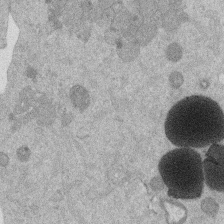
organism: Mouse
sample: Dividing mouse embryo 1 cell stage